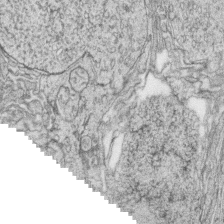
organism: Zebrafish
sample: synaptic ribbons in rod cells and cone cells